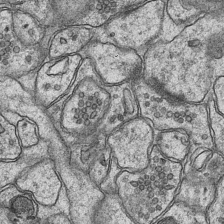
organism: Mouse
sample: CA1 Hippocampus